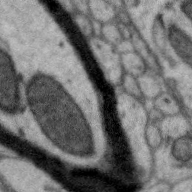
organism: Zebra finch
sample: Brain